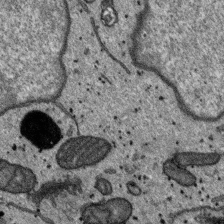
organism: Human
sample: Lung epithelial cells, uninfected (mock) control